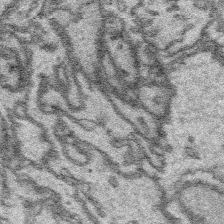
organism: Platynereis dumerilii